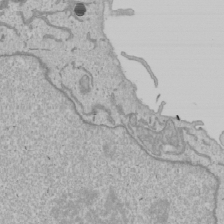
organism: Human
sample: Mitochondria in U2OS cells